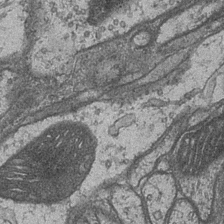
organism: Drosophila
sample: Optic medulla